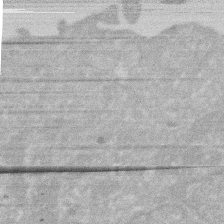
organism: Human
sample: HIV infected U937 cells